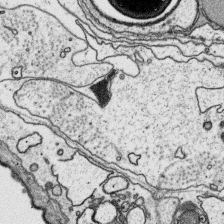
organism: Platynereis dumerilii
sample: Parapodia